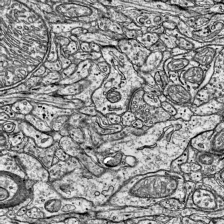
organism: Mouse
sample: Visual Cortex